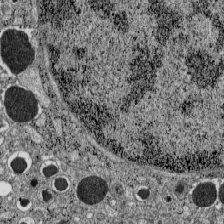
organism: C57BL Mouse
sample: Pancreatic islet